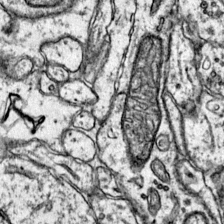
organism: Mouse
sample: Primary visual cortex